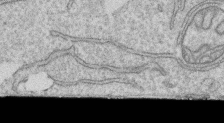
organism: Human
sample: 1205lu cells